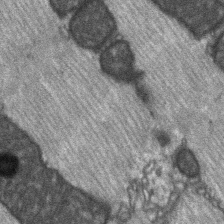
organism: C57BL Mouse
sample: Soleus